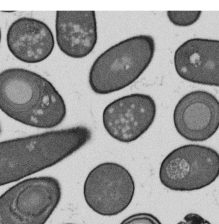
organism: B. subtilis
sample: Bacterial spore